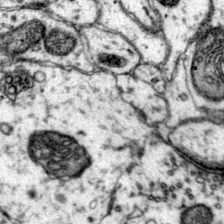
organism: Mouse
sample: Primary visual cortex